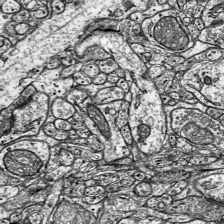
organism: Mouse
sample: Visual Cortex